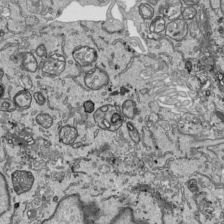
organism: Human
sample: Mitochondria in HCT116 cells